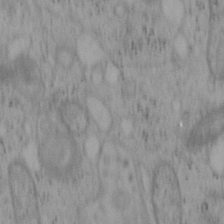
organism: Mouse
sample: OT-I killer T cells with ID8 ovarian cancer cells